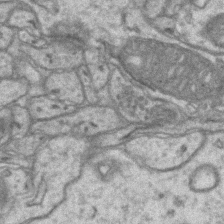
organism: Mouse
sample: CA1 Hippocampus